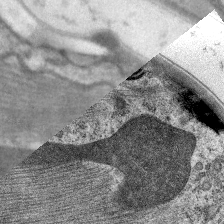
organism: C. elegans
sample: Pharynx